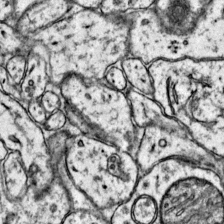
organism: Mouse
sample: Primary visual cortex